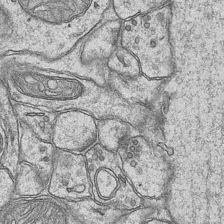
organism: Mouse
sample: CA1 Hippocampus